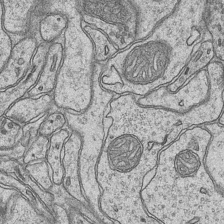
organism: Mouse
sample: CA1 Hippocampus